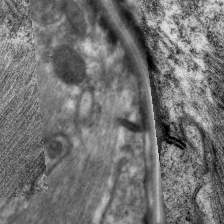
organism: C. elegans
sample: Pharynx